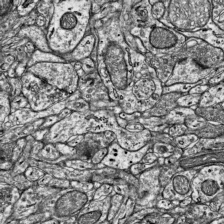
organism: Mouse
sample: Visual Cortex